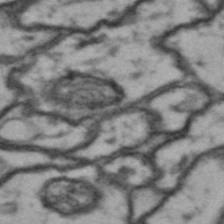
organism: Drosophila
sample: Brain